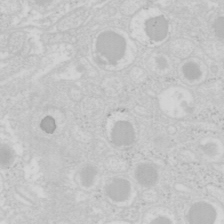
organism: Mouse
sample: Pancreas